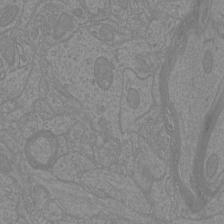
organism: Mouse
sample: Cortical neurons